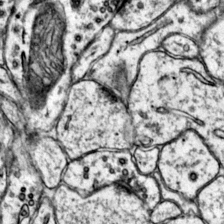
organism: Mouse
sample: Primary visual cortex